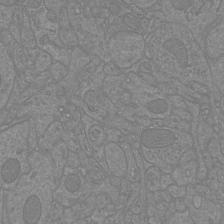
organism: Mouse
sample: Cortical neurons